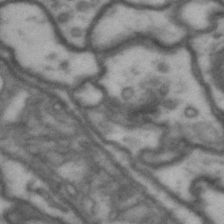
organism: Drosophila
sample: Brain